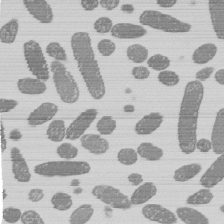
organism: E. coli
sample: Bacterial nucleoid